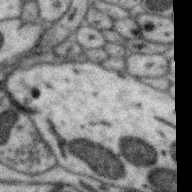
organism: Zebra finch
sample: Brain